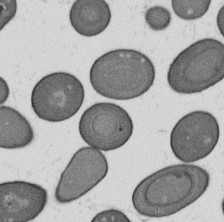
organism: B. subtilis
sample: Bacterial spore